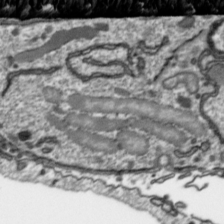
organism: Toxoplasma gondii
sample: Parasites in a vacuole inside a host cell